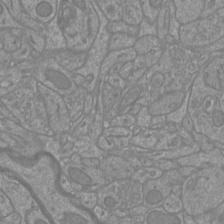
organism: Mouse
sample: Cortical neurons